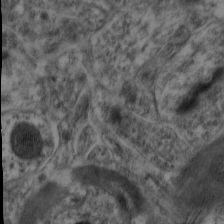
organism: Mouse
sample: Neocortex